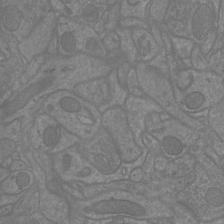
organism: Mouse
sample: Cortical neurons